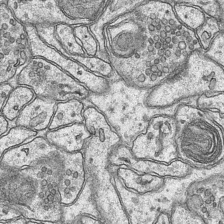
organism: Mouse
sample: CA1 Hippocampus